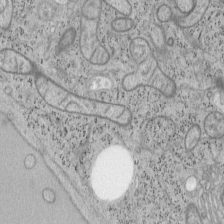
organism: Mouse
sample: OT-I killer T cells with ID8 ovarian cancer cells